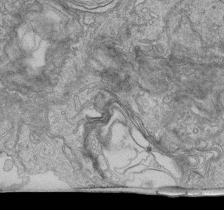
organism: Human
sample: Retinal organoid Rod and Cone cells